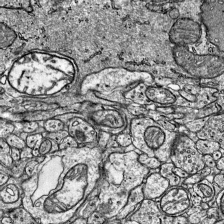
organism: Mouse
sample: Visual Cortex